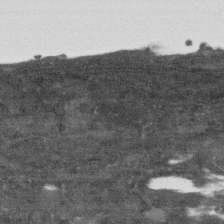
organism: Human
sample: Fibroblast cells